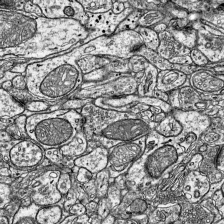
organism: Mouse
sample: Visual Cortex